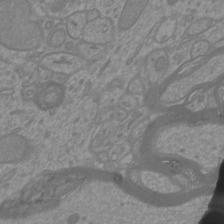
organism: Mouse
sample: Cortical neurons